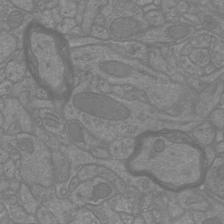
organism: Mouse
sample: Cortical neurons